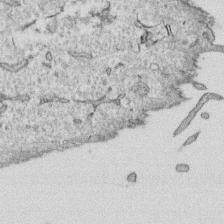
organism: Human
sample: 1205lu cells